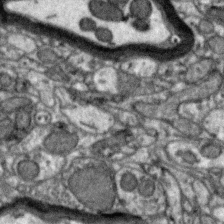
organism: Zebra finch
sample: Brain